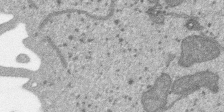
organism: Human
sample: Lung epithelial cells infected with SARS-CoV-2